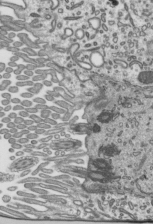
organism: Mouse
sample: Mouse epididymis efferent ductule cilia